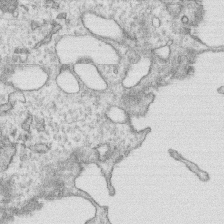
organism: Human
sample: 1205lu cells